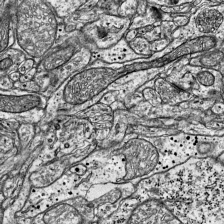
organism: Mouse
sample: Visual Cortex